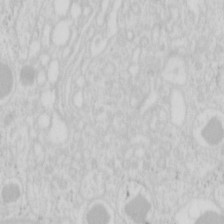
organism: Mouse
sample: Pancreas